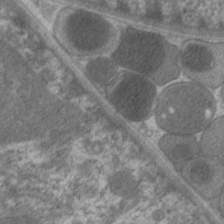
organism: C. elegans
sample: Pharynx